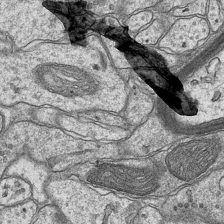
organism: Mouse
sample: CA1 Hippocampus